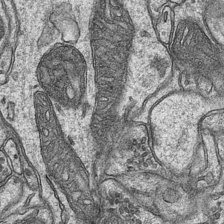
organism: Mouse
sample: CA1 Hippocampus